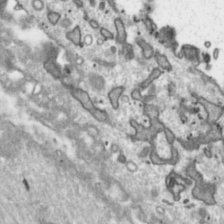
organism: Toxoplasma gondii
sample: Parasites in a vacuole inside a host cell